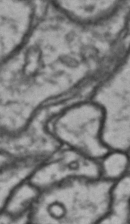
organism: Drosophila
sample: Brain